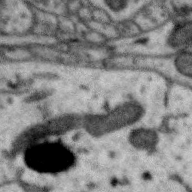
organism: Zebra finch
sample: Brain